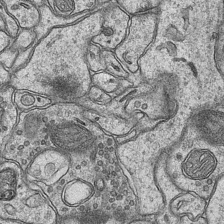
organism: Mouse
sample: CA1 Hippocampus